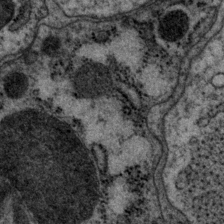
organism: P. pacificus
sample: Pharynx